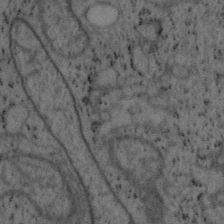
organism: Human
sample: HeLa cells